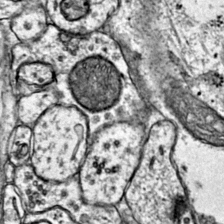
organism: Mouse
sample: Primary visual cortex